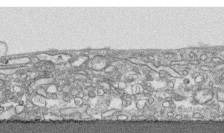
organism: Human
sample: CRL-1474